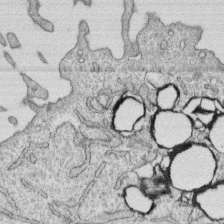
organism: Human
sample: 1205lu cells